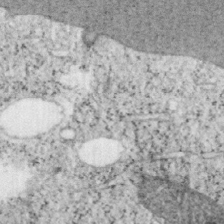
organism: Mouse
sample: OT-I killer T cells with ID8 ovarian cancer cells